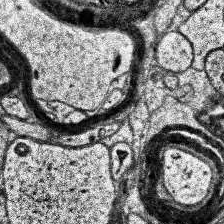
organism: Human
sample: Temporal Lobe